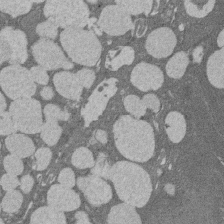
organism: Rat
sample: Salivary granule